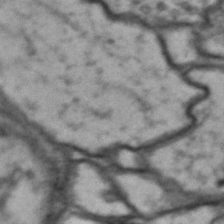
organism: Drosophila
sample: Brain